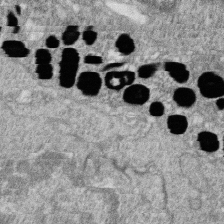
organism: Zebrafish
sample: Cilia; retinal pigment epithelium